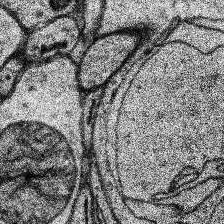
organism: Human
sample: Temporal Lobe